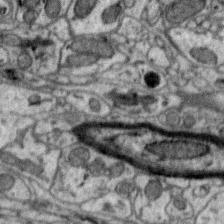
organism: Zebra finch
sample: Brain